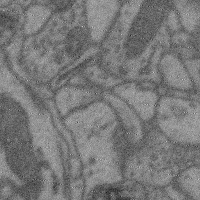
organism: Mouse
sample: Cerebral cortex